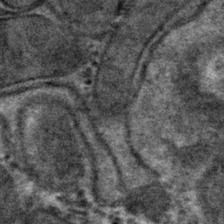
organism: Mouse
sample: Mouse hepatocytes